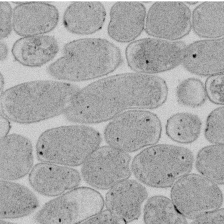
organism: E. coli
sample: Bacterial nucleoid